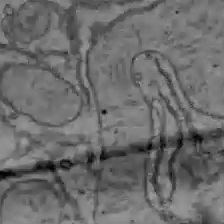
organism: C57BL Mouse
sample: Liver